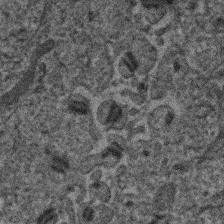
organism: Human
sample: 1205lu cells